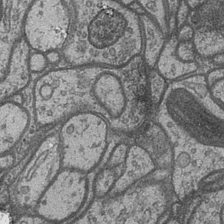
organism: Drosophila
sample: Optic medulla